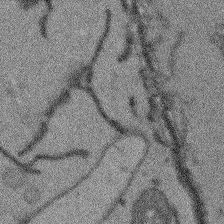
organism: Arabidopsis thaliana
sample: Root tip